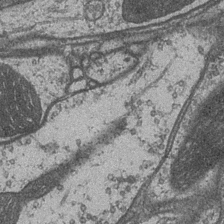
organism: Drosophila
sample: Optic medulla